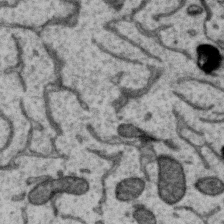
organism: Zebra finch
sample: Brain